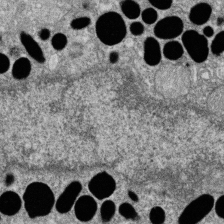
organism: Zebrafish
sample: Cilia; retinal pigment epithelium